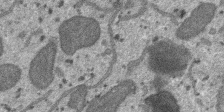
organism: Human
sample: Lung epithelial cells infected with SARS-CoV-2